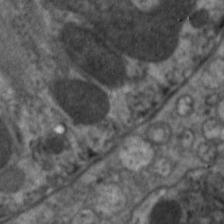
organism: C. elegans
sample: Pharynx